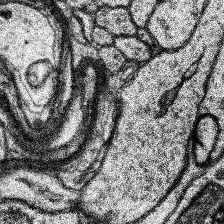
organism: Human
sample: Temporal Lobe